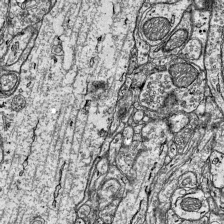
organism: Mouse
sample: Visual Cortex